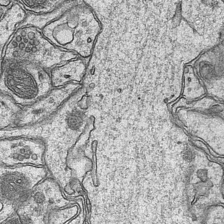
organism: Mouse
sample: CA1 Hippocampus